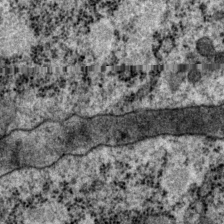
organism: P. pacificus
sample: Pharynx